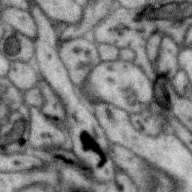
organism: Zebra finch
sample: Brain